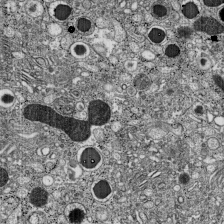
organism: C57BL Mouse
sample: Pancreatic islet